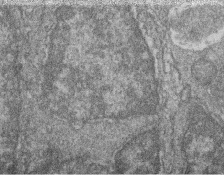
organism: Zebrafish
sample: Cilia; retinal pigment epithelium